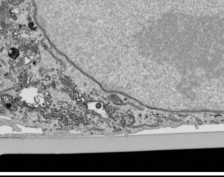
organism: Human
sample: Mitochondria in HCT116 cells